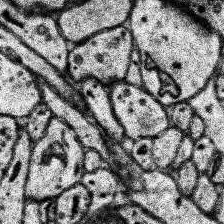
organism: Human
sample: Temporal Lobe